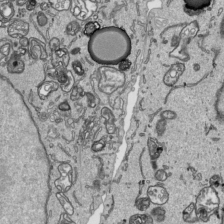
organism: Human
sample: Mitochondria in HCT116 cells